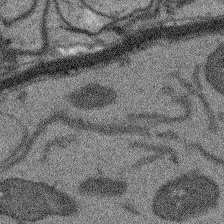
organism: Arabidopsis thaliana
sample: Root tip